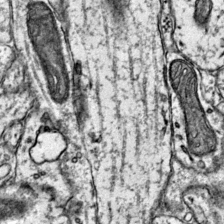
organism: Mouse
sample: Primary visual cortex